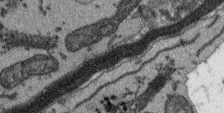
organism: Arabidopsis thaliana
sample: Root tip